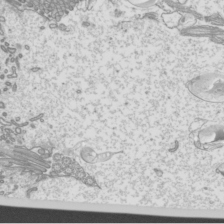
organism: Mouse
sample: Cilia; mouse epididymis